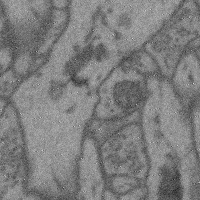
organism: Mouse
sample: Cerebral cortex